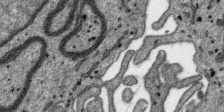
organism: Human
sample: Lung epithelial cells, uninfected (mock) control